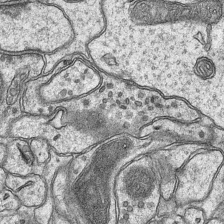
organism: Mouse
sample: CA1 Hippocampus